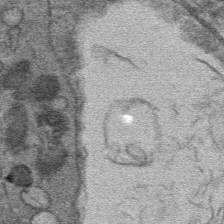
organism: Mouse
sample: Mouse hepatocytes